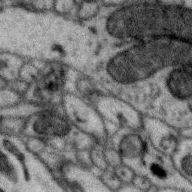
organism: Zebra finch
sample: Brain